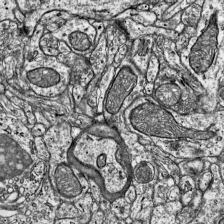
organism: Mouse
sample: Visual Cortex